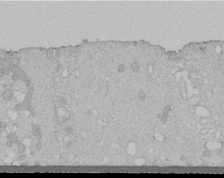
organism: Human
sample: Melanocyte Keratinocyte synapse skin construct